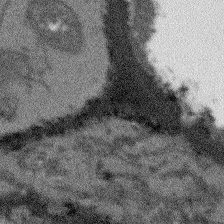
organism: Arabidopsis thaliana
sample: Root tip